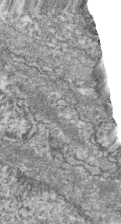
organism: Zebrafish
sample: Cilia; retinal pigment epithelium